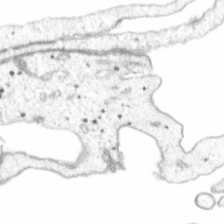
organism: Human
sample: HeLa cells